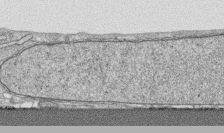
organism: Human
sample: CRL-1474